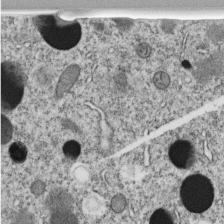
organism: C. elegans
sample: C. elegans embryo early stage